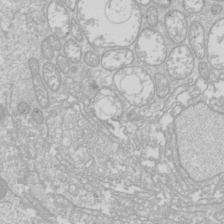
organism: Drosophila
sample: Cell division; meiosis; drosophila spermatocytes